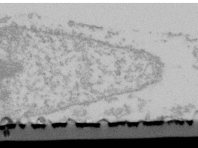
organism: Human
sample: U2-OS cells